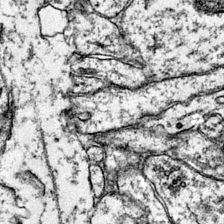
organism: Mouse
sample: Primary visual cortex